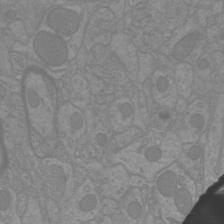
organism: Mouse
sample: Cortical neurons